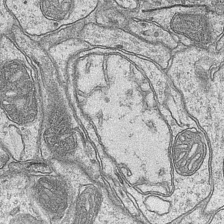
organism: Mouse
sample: CA1 Hippocampus